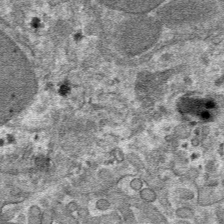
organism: Mouse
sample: Mouse hepatocytes